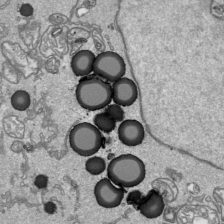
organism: Human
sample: Mitochondria in HCT116 cells